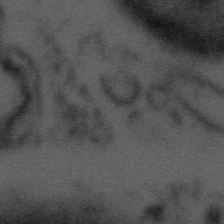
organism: Tuwongella immobilis